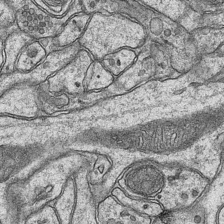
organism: Mouse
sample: CA1 Hippocampus